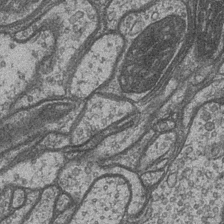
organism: Drosophila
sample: Optic medulla